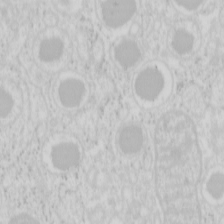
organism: Mouse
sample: Pancreas